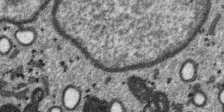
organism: Human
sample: Lung epithelial cells infected with SARS-CoV-2